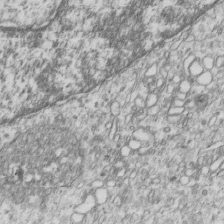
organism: Human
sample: MDA-MB-231 cells